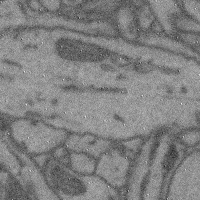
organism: Mouse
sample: Cerebral cortex